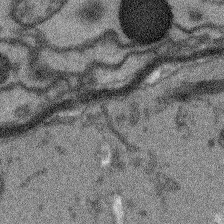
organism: Arabidopsis thaliana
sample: Root tip